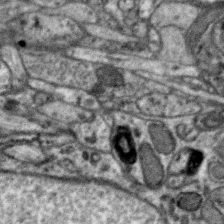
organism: Zebra finch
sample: Brain